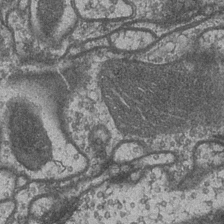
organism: Drosophila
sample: Optic medulla